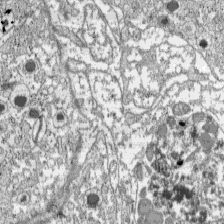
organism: C57BL Mouse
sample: Pancreatic islet